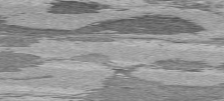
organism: C57BL Mouse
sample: Heart